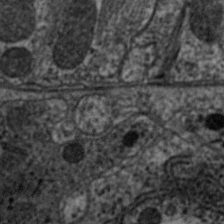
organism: C. elegans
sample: Pharynx